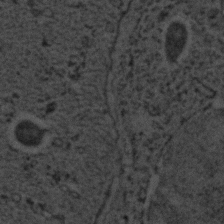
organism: C. elegans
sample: C. elegans embryo